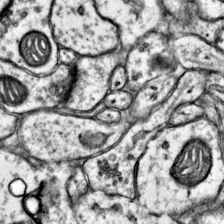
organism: Mouse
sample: Primary visual cortex